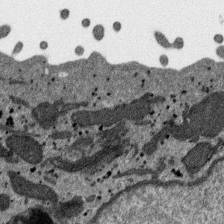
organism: Human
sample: Lung epithelial cells, uninfected (mock) control